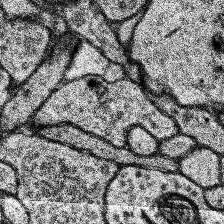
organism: Human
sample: Temporal Lobe